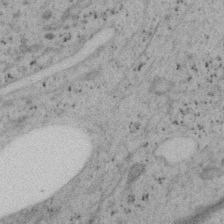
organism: Human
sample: HeLa cells